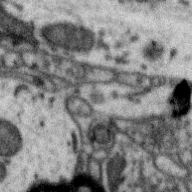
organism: Zebra finch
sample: Brain